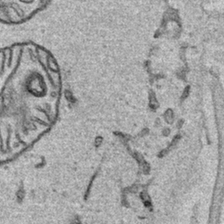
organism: Human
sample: Mitochondria in HCT116 cells